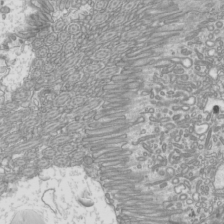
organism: Mouse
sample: Cilia; mouse epididymis